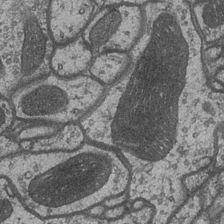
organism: Drosophila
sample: Optic medulla